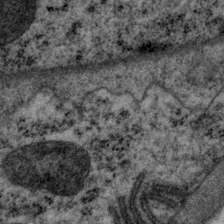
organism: P. pacificus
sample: Pharynx